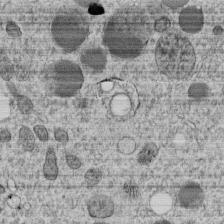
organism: C. elegans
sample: C. elegans embryo early stage